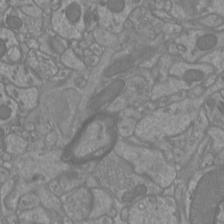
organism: Mouse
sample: Cortical neurons